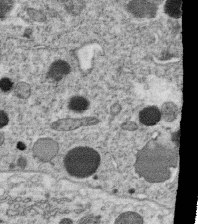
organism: C. elegans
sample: C. elegans oocyte; sperm cells